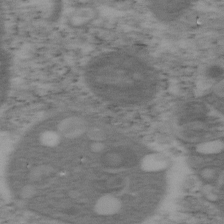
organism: Mouse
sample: OT-I killer T cells with ID8 ovarian cancer cells